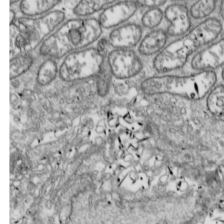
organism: Drosophila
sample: Cell division; meiosis; drosophila spermatocytes